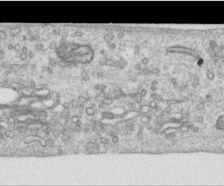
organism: Human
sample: Centriole in RPE cells